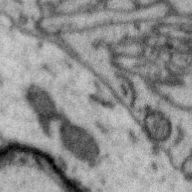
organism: Zebra finch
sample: Brain